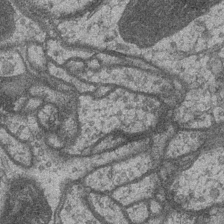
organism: Drosophila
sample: Optic medulla